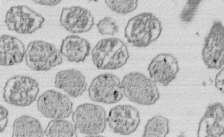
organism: E. coli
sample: Bacterial nucleoid